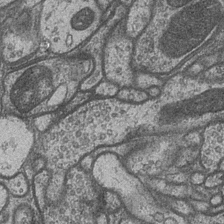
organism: Drosophila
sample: Optic medulla